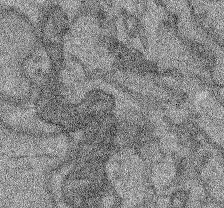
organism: Human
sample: HeLa cells